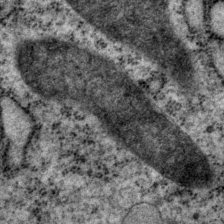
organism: P. pacificus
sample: Pharynx